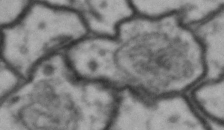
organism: Drosophila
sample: Brain